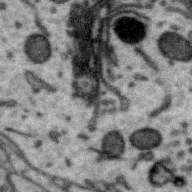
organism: Zebra finch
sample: Brain